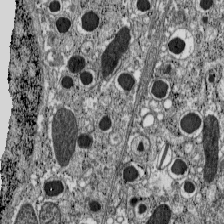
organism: C57BL Mouse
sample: Pancreatic islet